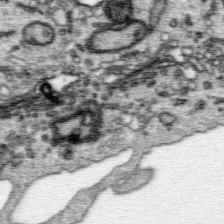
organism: Human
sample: HeLa cells